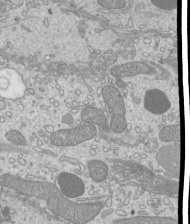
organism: Mouse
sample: Cilia; mouse epididymis